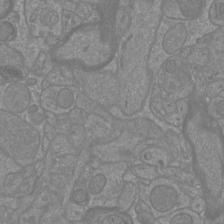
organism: Mouse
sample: Cortical neurons